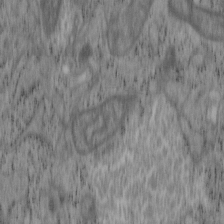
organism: Human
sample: HeLa cells